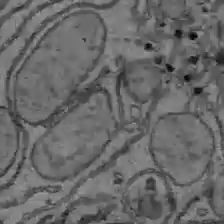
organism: C57BL Mouse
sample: Liver